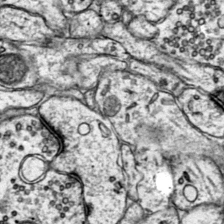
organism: Mouse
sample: Primary visual cortex